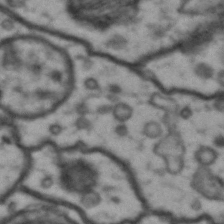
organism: Drosophila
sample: Brain